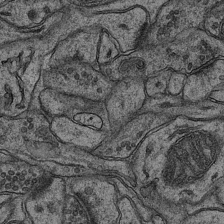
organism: Mouse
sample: CA1 Hippocampus